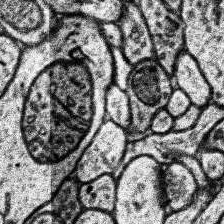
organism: Human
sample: Temporal Lobe